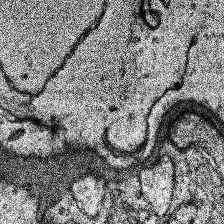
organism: Human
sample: Temporal Lobe